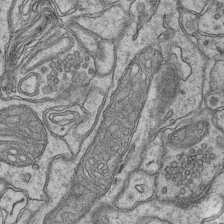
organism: Mouse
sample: CA1 Hippocampus